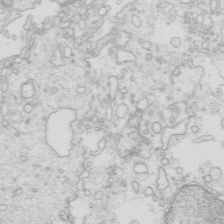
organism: Mouse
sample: Multiciliated cells